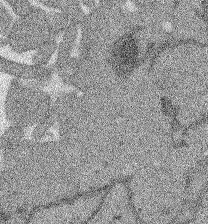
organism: Human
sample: HeLa cells